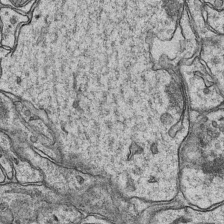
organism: Mouse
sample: CA1 Hippocampus